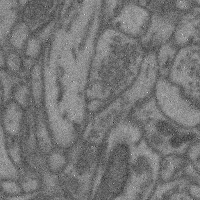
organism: Mouse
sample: Cerebral cortex